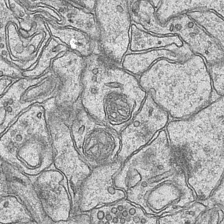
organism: Mouse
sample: CA1 Hippocampus